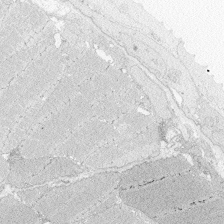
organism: Zebrafish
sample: Whole-Brain